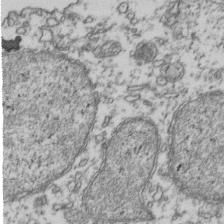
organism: Human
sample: Activated Jurkat CD4+ T cells